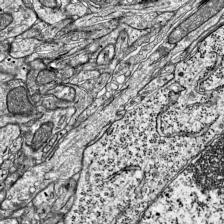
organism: Mouse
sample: Visual Cortex